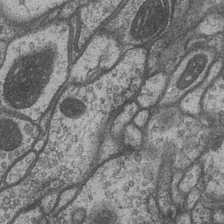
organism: Drosophila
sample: Optic medulla